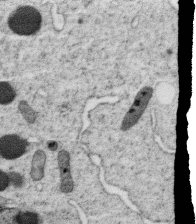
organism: C. elegans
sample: C. elegans oocyte; sperm cells